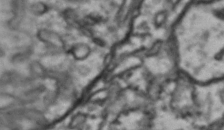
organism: Drosophila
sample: Brain